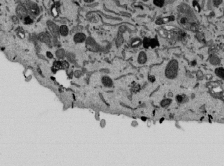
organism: Mouse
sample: ED-1 cell nuclei; centrioles